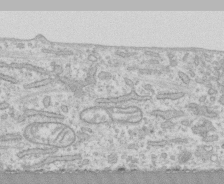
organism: Human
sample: CRL-1474